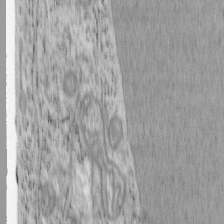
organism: Human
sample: HeLa cells